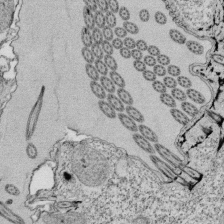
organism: Tetrahymena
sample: Cilia in tetrahymena